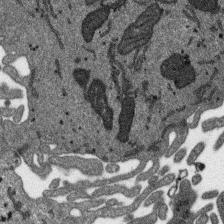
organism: Human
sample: Lung epithelial cells infected with SARS-CoV-2